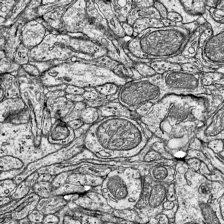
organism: Mouse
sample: Visual Cortex